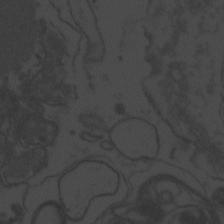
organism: Zebrafish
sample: Macrophage infected with Toxoplasma gondii